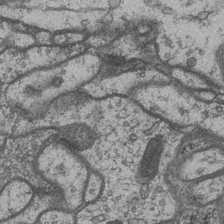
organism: Drosophila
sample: Optic medulla